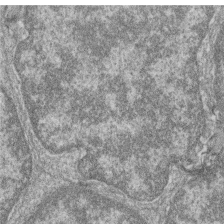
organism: Zebrafish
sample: Cilia; retinal pigment epithelium